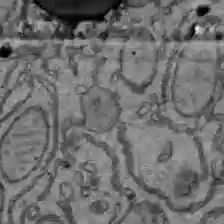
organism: C57BL Mouse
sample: Liver